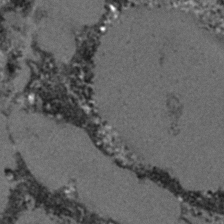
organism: C. elegans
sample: C. elegans embryo